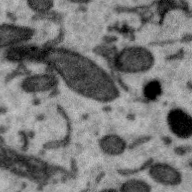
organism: Zebra finch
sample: Brain